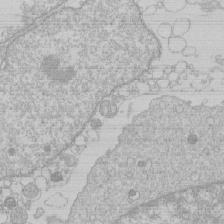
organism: Human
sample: Macrophage cells